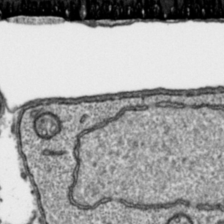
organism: Toxoplasma gondii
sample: Parasites in a vacuole inside a host cell